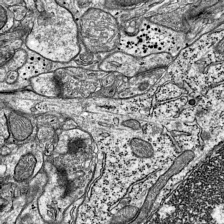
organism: Mouse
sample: Visual Cortex